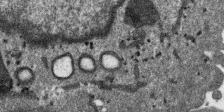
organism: Human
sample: Lung epithelial cells infected with SARS-CoV-2